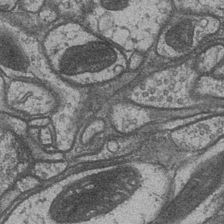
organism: Drosophila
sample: Optic medulla